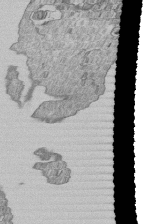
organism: Human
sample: MDA-MB-231 cells